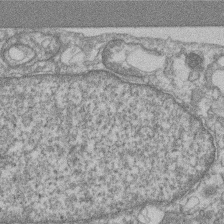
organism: Mouse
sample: T cell stromal cell synapse